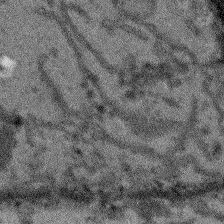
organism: Arabidopsis thaliana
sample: Root tip